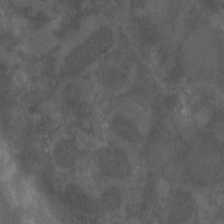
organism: C. elegans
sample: C. elegans embryo